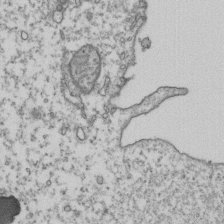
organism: Human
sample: Activated Jurkat CD4+ T cells